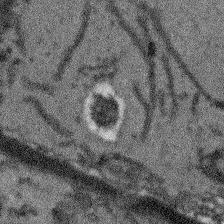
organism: Arabidopsis thaliana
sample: Root tip